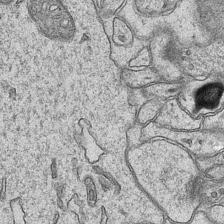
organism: Mouse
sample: CA1 Hippocampus